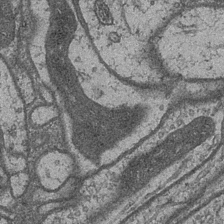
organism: Drosophila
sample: Optic medulla